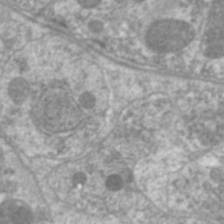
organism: C. elegans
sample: Pharynx